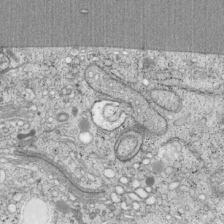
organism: African green monkey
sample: COS-7 cells